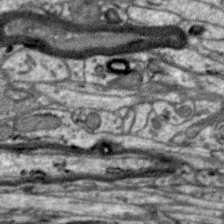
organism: Zebra finch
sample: Brain